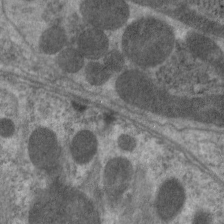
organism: C. elegans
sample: Pharynx